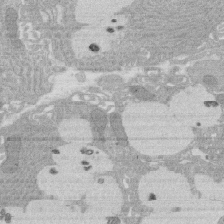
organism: Rat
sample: Salivary granule